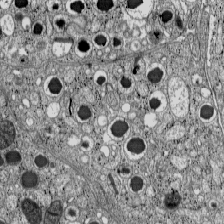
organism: C57BL Mouse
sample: Pancreatic islet